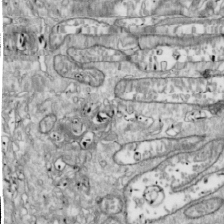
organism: Drosophila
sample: Cell division; meiosis; drosophila spermatocytes